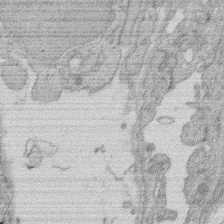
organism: Rat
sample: Salivary granule